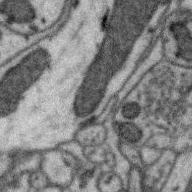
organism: Zebra finch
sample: Brain